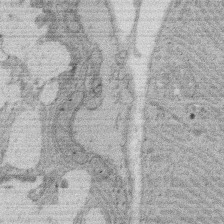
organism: Rat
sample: Salivary granule